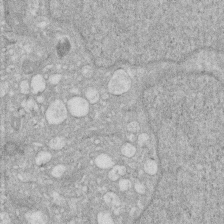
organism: Human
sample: HIV infected U937 cells